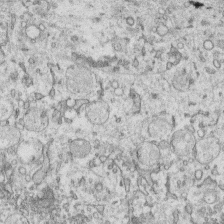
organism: Human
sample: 1205lu cells